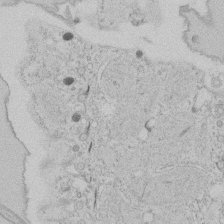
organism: Tetrahymena